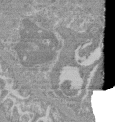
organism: Mouse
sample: Glomerulus